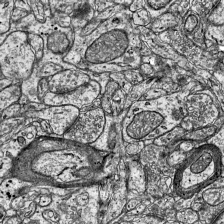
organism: Mouse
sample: Visual Cortex